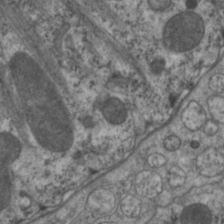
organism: C. elegans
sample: Pharynx